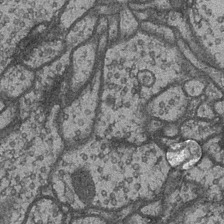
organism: Drosophila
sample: Optic medulla